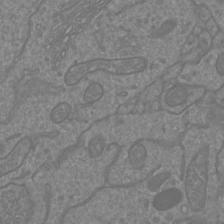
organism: Mouse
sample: Cortical neurons